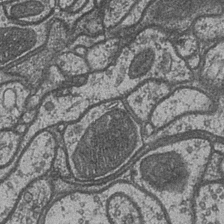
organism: Drosophila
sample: Optic medulla